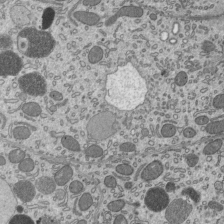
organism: Mouse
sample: Mouse epididymis efferent ductule cilia